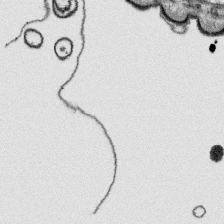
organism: Platynereis dumerilii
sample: Parapodia